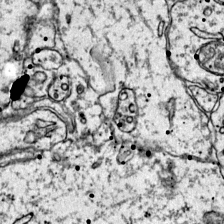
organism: Mouse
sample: Primary visual cortex